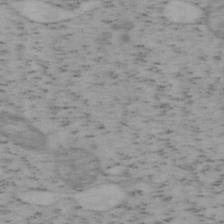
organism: Mouse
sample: OT-I killer T cells with ID8 ovarian cancer cells